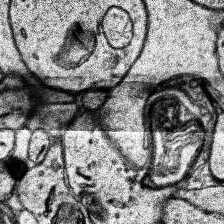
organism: Human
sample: Temporal Lobe